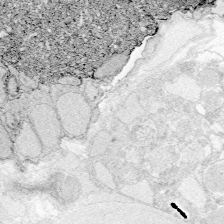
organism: Zebrafish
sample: Whole-Brain